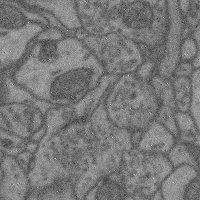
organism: Mouse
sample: Cerebral cortex